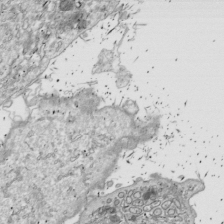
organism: Drosophila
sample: Cell division; meiosis; drosophila spermatocytes